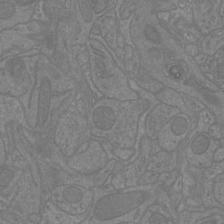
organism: Mouse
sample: Cortical neurons